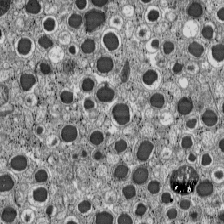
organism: C57BL Mouse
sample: Pancreatic islet